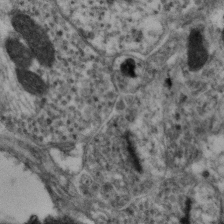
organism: Mouse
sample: Neocortex